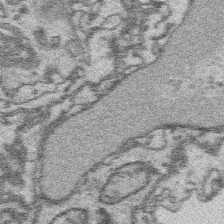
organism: Platynereis dumerilii